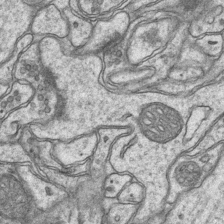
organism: Mouse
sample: CA1 Hippocampus